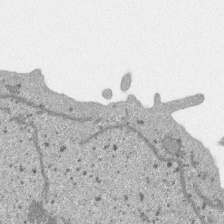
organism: Human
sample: Lung epithelial cells infected with SARS-CoV-2